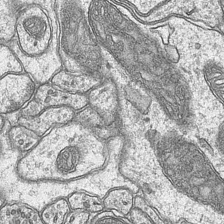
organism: Mouse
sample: CA1 Hippocampus